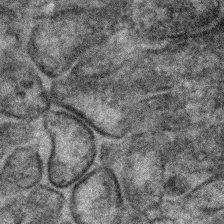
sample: Kidney